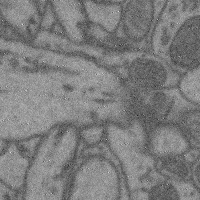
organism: Mouse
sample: Cerebral cortex